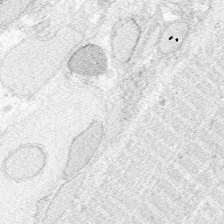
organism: Zebrafish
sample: Whole-Brain